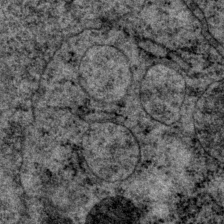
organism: P. pacificus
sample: Pharynx